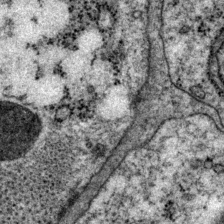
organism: P. pacificus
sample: Pharynx